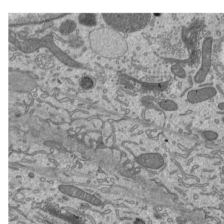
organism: Mouse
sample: Mouse epididymis efferent ductule cilia